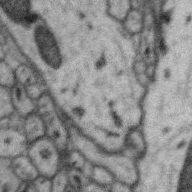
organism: Zebra finch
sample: Brain